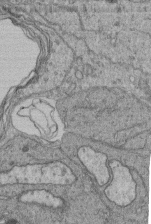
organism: Human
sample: Retinal organoid Rod and Cone cells